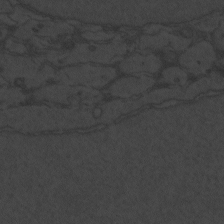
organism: Zebrafish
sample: Macrophage infected with Toxoplasma gondii